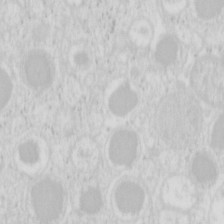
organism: Mouse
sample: Pancreas